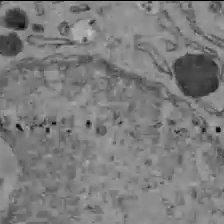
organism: C57BL Mouse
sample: Liver